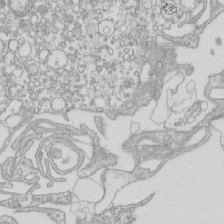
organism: Mouse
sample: Macrophages